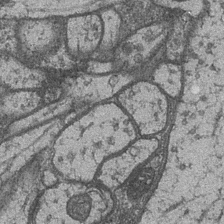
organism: Drosophila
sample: Optic medulla